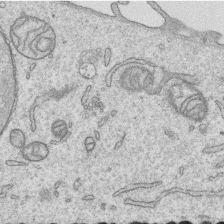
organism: Human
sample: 1205lu cells